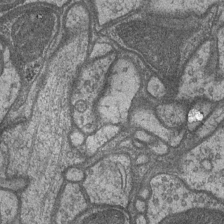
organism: Drosophila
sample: Optic medulla